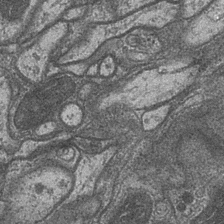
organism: Drosophila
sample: Optic medulla